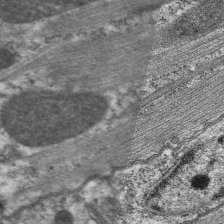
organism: C. elegans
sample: Pharynx